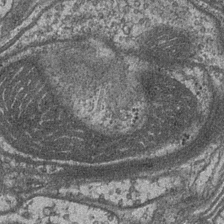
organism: Drosophila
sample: Optic medulla